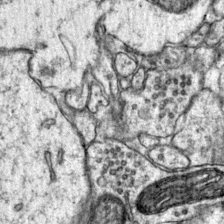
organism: Mouse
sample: Primary visual cortex